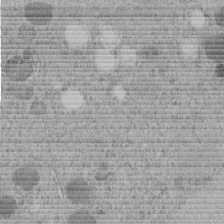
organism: C. elegans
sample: C. elegans embryo early stage